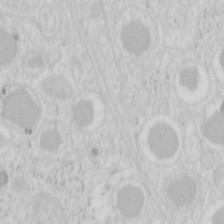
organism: Mouse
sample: Pancreas